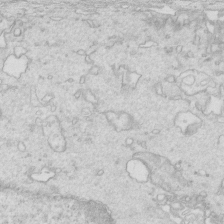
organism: Mouse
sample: Multiciliated cells